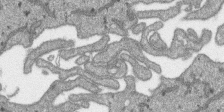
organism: Human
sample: Lung epithelial cells infected with SARS-CoV-2